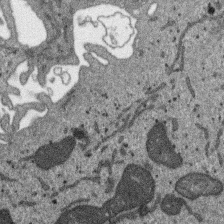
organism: Human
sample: Lung epithelial cells infected with SARS-CoV-2